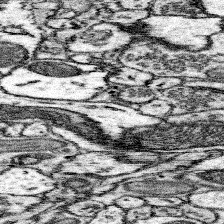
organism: Mouse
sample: Somatosensory cortex neuropil